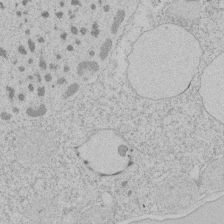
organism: Tetrahymena